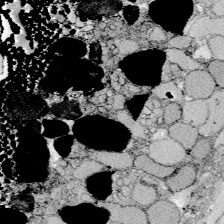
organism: Zebrafish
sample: Whole-Brain